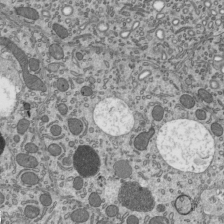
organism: Mouse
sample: Mouse epididymis efferent ductule cilia